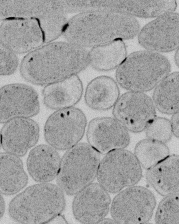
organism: E. coli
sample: Bacterial nucleoid